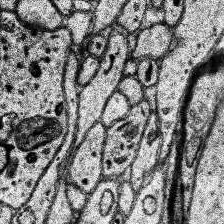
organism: Human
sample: Temporal Lobe